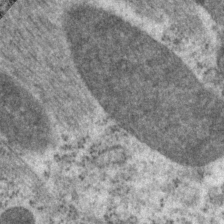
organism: P. pacificus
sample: Pharynx